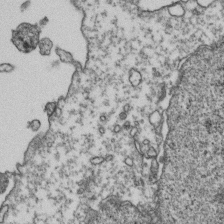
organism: Human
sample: Activated Jurkat CD4+ T cells